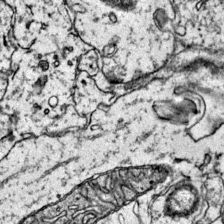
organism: Mouse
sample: Primary visual cortex